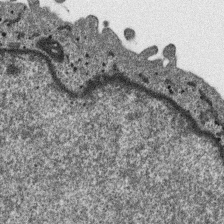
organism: Human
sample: Lung epithelial cells infected with SARS-CoV-2